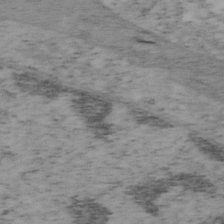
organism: Mouse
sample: OT-I killer T cells with ID8 ovarian cancer cells